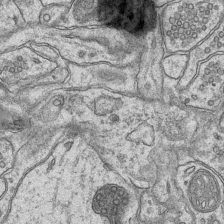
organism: Mouse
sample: CA1 Hippocampus